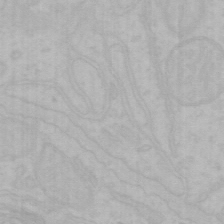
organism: Mouse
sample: Choroid plexus